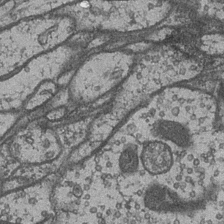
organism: Drosophila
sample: Optic medulla